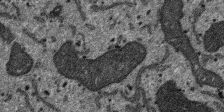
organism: Human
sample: Lung epithelial cells infected with SARS-CoV-2